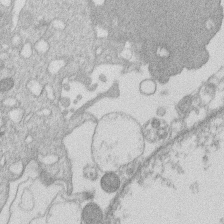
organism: Human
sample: Macrophage cells